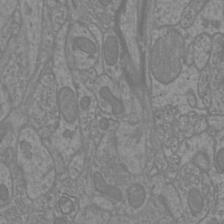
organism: Mouse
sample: Cortical neurons